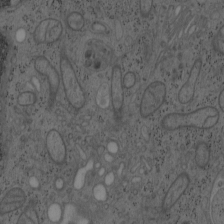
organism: Mouse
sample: OT-I killer T cells with ID8 ovarian cancer cells